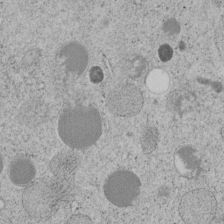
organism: C. elegans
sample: C. elegans embryo early stage